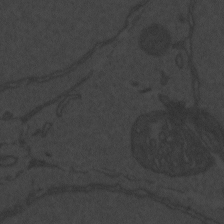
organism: Zebrafish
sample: Macrophage infected with Toxoplasma gondii